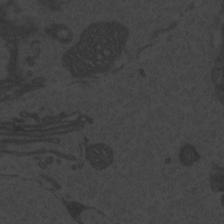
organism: Zebrafish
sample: Macrophage infected with Toxoplasma gondii